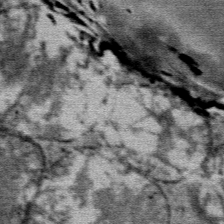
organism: Mouse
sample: Mouse Salivary gland